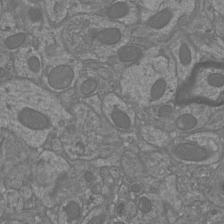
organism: Mouse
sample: Cortical neurons